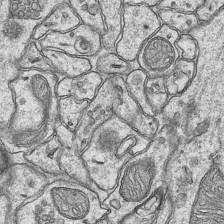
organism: Mouse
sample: CA1 Hippocampus